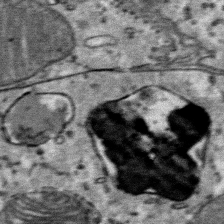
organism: Mouse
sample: Mouse Salivary gland